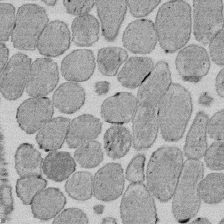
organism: E. coli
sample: Bacterial nucleoid